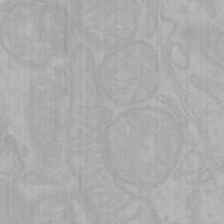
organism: Mouse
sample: Choroid plexus